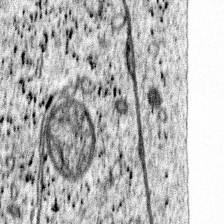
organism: Human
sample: HeLa cells